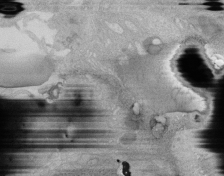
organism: Human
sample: Retinal organoid Rod and Cone cells